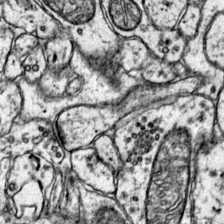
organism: Mouse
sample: Primary visual cortex